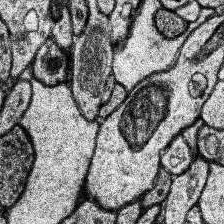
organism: Human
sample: Temporal Lobe